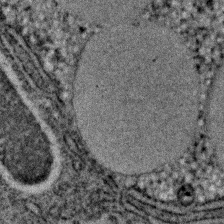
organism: C. elegans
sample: C. elegans embryo